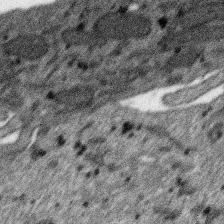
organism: Human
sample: Lung epithelial cells infected with SARS-CoV-2